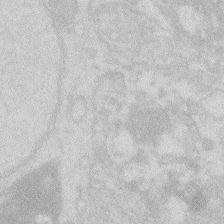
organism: Zebrafish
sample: Macrophage